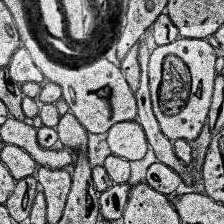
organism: Human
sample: Temporal Lobe